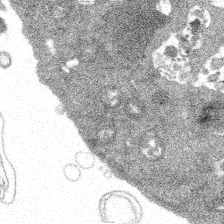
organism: Spongilla lacustris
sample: Multiple